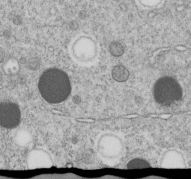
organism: C. elegans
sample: C. elegans embryo early stage